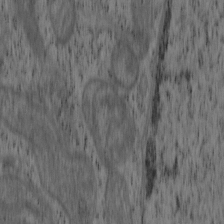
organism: Human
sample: HeLa cells